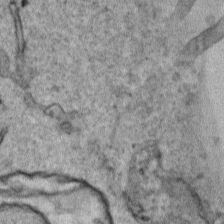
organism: Human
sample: Mitochondria in HCT116 cells